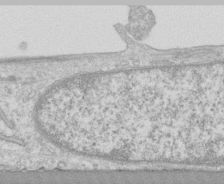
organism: Human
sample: CRL-1474